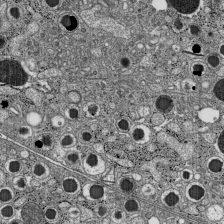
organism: C57BL Mouse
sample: Pancreatic islet